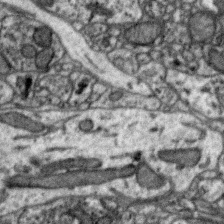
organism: Zebra finch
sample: Brain